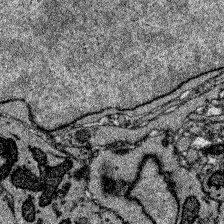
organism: Zebrafish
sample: Larval olfactory bulb